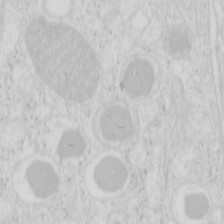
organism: Mouse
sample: Pancreas